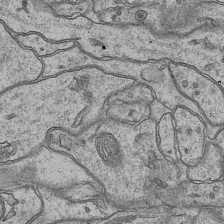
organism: Mouse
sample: CA1 Hippocampus